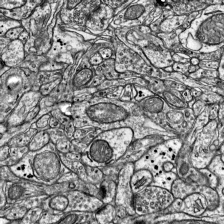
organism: Mouse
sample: Visual Cortex